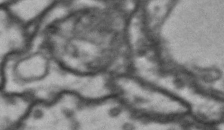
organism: Drosophila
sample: Brain